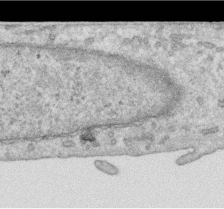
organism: Human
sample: Centriole in RPE cells